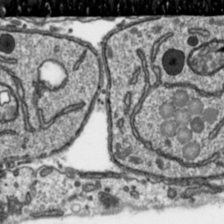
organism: Toxoplasma gondii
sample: Parasites in a vacuole inside a host cell